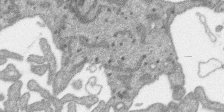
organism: Human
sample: Lung epithelial cells infected with SARS-CoV-2